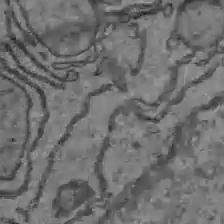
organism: C57BL Mouse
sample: Liver